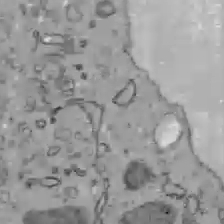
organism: C57BL Mouse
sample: Liver